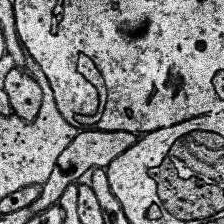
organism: Human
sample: Temporal Lobe